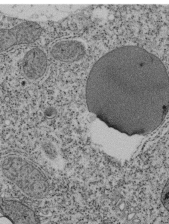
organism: Tetrahymena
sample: Cilia in tetrahymena